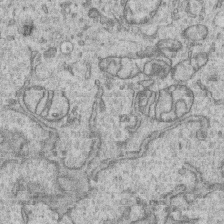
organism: Human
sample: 1205lu cells